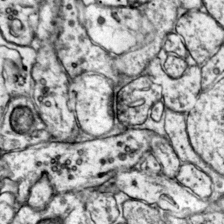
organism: Mouse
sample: Primary visual cortex